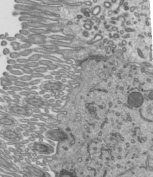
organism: Mouse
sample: Mouse epididymis efferent ductule cilia